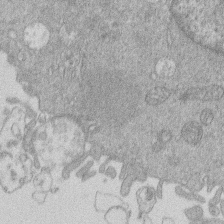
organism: Human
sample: Macrophage cells